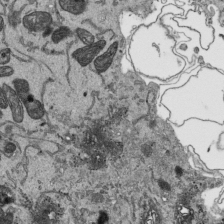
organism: Human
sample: Mitochondria in HCT116 cells